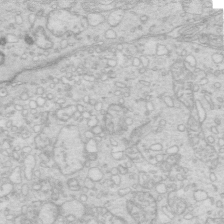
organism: Mouse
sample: Multiciliated cells